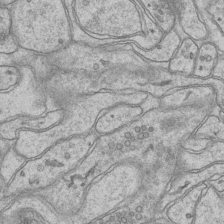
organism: Mouse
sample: CA1 Hippocampus